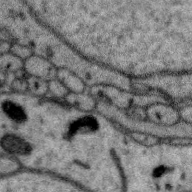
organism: Zebra finch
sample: Brain